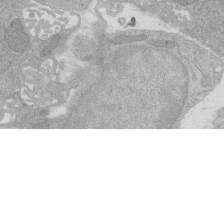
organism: Rat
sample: Salivary granule